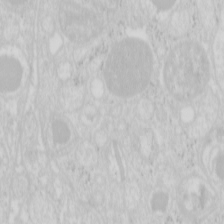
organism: Mouse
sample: Pancreas